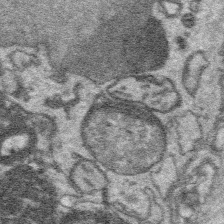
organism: Platynereis dumerilii